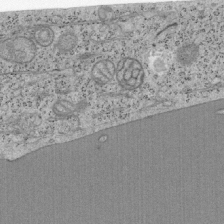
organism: Human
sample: HeLa cells